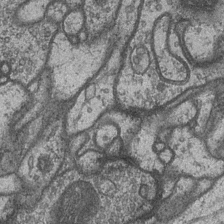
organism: Drosophila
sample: Optic medulla